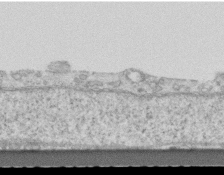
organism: Mouse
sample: Centriole in ependymal cells